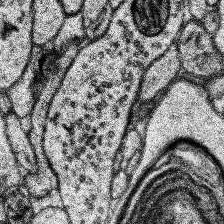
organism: Human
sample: Temporal Lobe